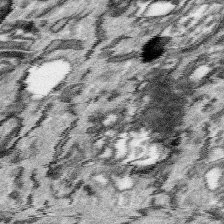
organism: Human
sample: HeLa cells